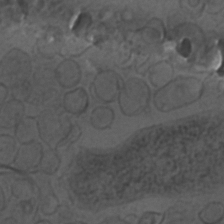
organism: C. elegans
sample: C. elegans embryo